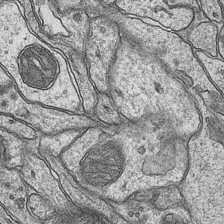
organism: Mouse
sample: CA1 Hippocampus